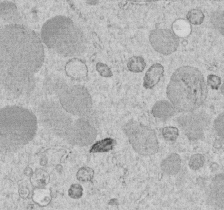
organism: C. elegans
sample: C. elegans embryo early stage